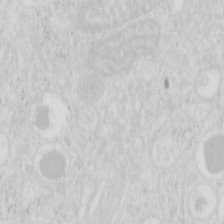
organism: Mouse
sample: Pancreas